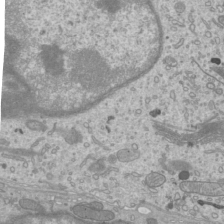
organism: Mouse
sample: Cilia; mouse epididymis